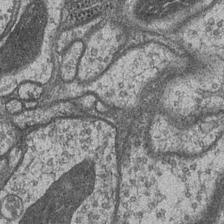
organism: Drosophila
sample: Optic medulla